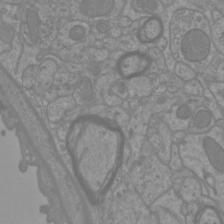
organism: Mouse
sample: Cortical neurons